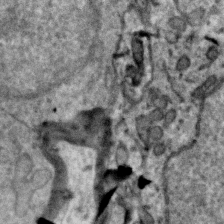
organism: Zebra finch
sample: Brain